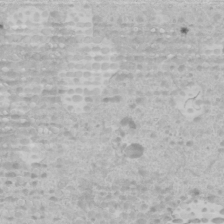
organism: Human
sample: Mitochondria in U2OS cells